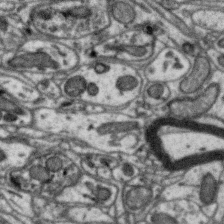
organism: Zebra finch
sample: Brain